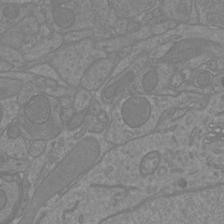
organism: Mouse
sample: Cortical neurons